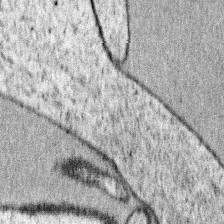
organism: Human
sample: HeLa cells